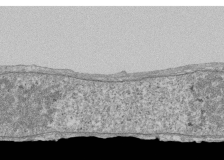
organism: Human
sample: Fibroblast cells